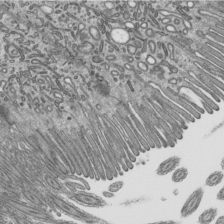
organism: Mouse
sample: Mouse epididymis efferent ductule cilia